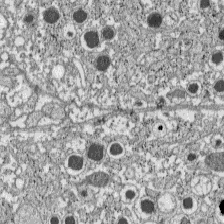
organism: C57BL Mouse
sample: Pancreatic islet